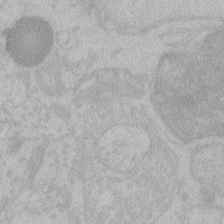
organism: Zebrafish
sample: Macrophage infected with Toxoplasma gondii